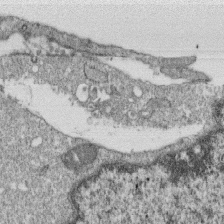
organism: African green monkey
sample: Vero E6 cells infected with SARS-CoV-2